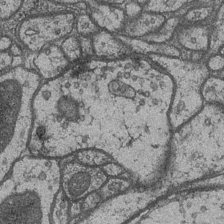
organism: Drosophila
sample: Optic medulla